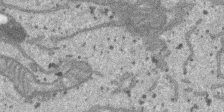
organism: Human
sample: Lung epithelial cells infected with SARS-CoV-2